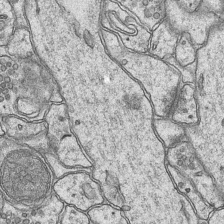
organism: Mouse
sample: CA1 Hippocampus